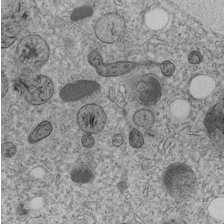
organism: C. elegans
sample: C. elegans embryo early stage